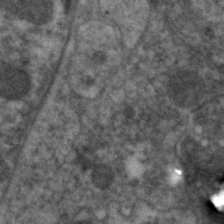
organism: C. elegans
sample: Pharynx